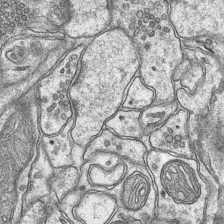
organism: Mouse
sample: CA1 Hippocampus